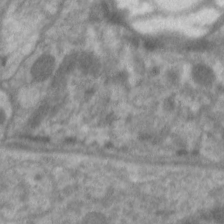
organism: C. elegans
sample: Pharynx